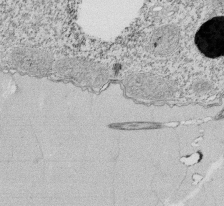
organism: Tetrahymena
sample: Cilia in tetrahymena